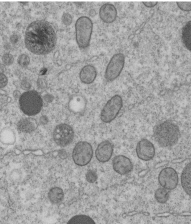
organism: C. elegans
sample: C. elegans embryo early stage